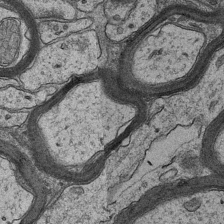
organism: Mouse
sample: CA1 Hippocampus